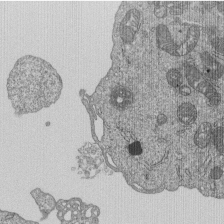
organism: Human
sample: MDA-MB-231 cells